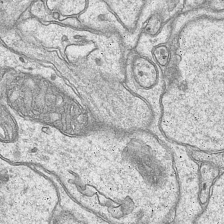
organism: Mouse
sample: CA1 Hippocampus